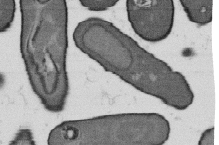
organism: B. subtilis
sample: Bacterial spore